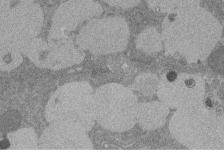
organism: Rat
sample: Salivary granule